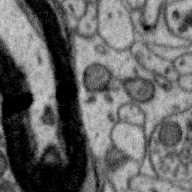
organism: Zebra finch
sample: Brain